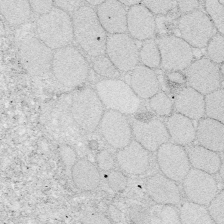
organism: Zebrafish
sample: Whole-Brain